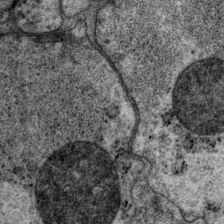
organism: P. pacificus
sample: Pharynx